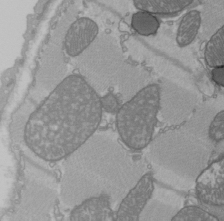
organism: C57BL Mouse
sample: Heart